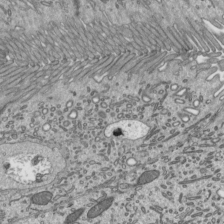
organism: Mouse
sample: Mouse epididymis efferent ductule cilia